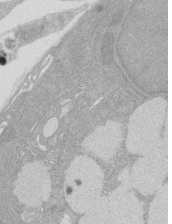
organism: Rat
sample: Salivary granule